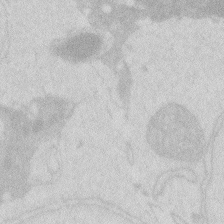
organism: Zebrafish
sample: Macrophage